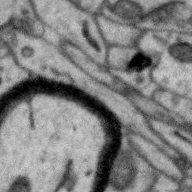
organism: Zebra finch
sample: Brain